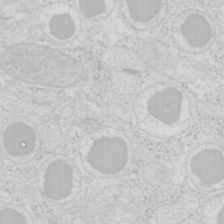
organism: Mouse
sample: Pancreas